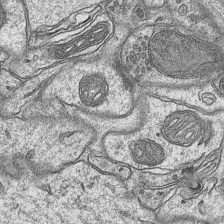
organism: Mouse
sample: CA1 Hippocampus